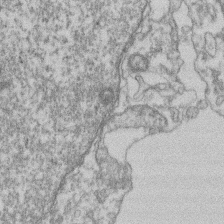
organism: Mouse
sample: T cell stromal cell synapse